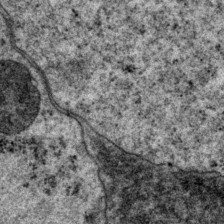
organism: P. pacificus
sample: Pharynx